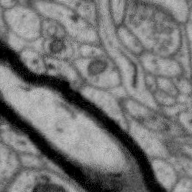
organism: Zebra finch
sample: Brain